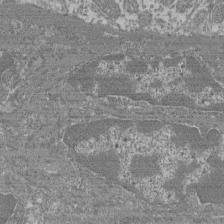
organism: Mouse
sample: Glomerulus